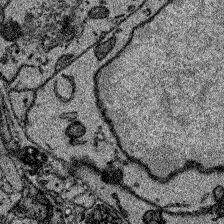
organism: Zebrafish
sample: Larval olfactory bulb